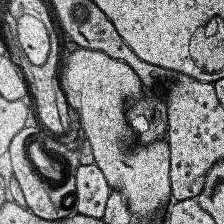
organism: Human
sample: Temporal Lobe